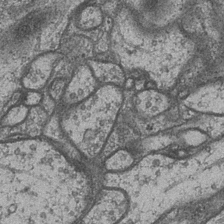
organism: Drosophila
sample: Optic medulla